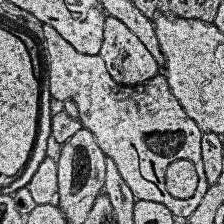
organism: Human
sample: Temporal Lobe